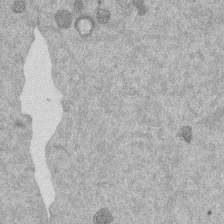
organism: Mouse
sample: Dividing mouse embryo 1 cell stage